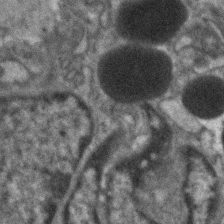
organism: Human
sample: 1205lu cells